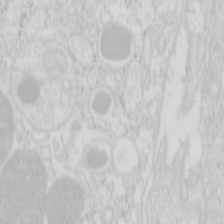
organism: Mouse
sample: Pancreas